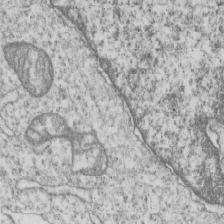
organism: Human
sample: MDA-MB-231 cells